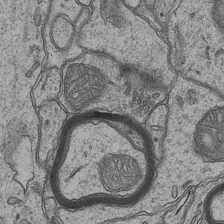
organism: Mouse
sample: CA1 Hippocampus